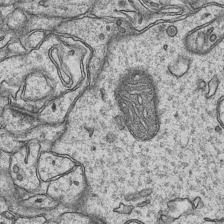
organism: Mouse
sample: CA1 Hippocampus